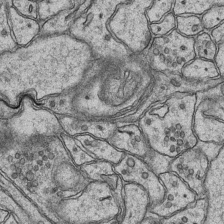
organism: Mouse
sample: CA1 Hippocampus